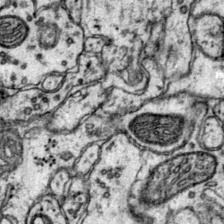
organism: Mouse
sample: Primary visual cortex